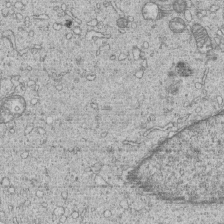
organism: Human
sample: MDA-MB-231 cells